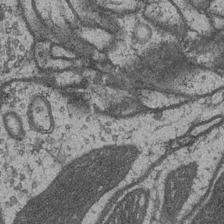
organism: Drosophila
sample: Optic medulla